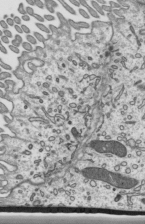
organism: Mouse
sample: Mouse epididymis efferent ductule cilia